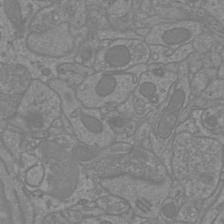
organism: Mouse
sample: Cortical neurons